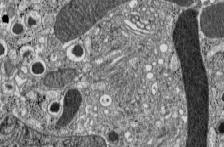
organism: C57BL Mouse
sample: Pancreatic islet